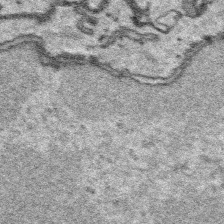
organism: Platynereis dumerilii